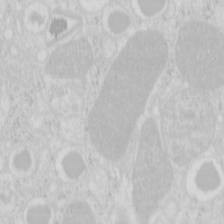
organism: Mouse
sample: Pancreas